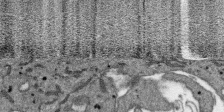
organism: Human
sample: Lung epithelial cells, uninfected (mock) control